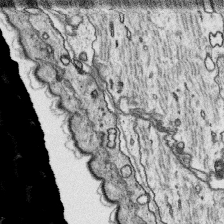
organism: Platynereis dumerilii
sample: Parapodia